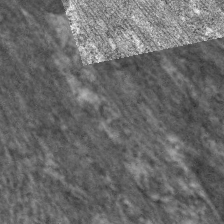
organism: C. elegans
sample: Pharynx